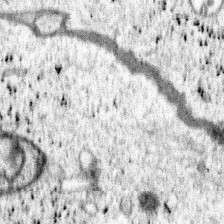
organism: Human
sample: HeLa cells